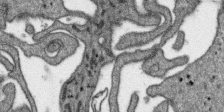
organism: Human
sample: Lung epithelial cells, uninfected (mock) control